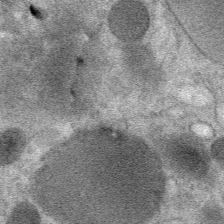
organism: Mouse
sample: Mouse Salivary gland